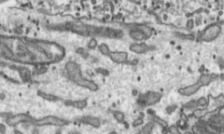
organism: Toxoplasma gondii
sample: Parasites in a vacuole inside a host cell